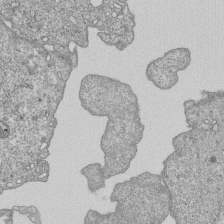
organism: Human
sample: MDA-MB-231 cells